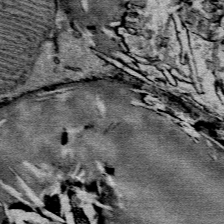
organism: Mouse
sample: Mouse Salivary gland